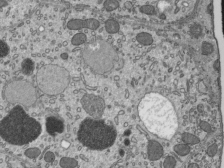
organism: Mouse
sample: Mouse epididymis efferent ductule cilia